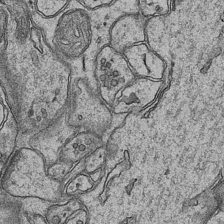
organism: Mouse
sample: CA1 Hippocampus